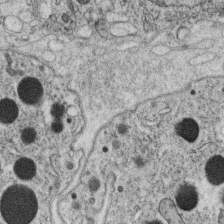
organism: C. elegans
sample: C. elegans oocyte; sperm cells